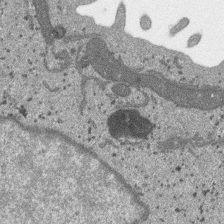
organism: Human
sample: Lung epithelial cells infected with SARS-CoV-2